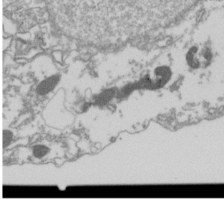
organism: Drosophila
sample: Cell division; meiosis; drosophila spermatocytes